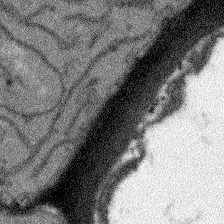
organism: Arabidopsis thaliana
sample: Root tip